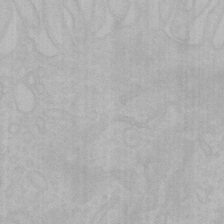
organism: Mouse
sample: Choroid plexus